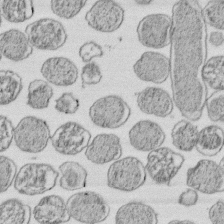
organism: E. coli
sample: Bacterial nucleoid